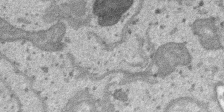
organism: Human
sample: Lung epithelial cells infected with SARS-CoV-2